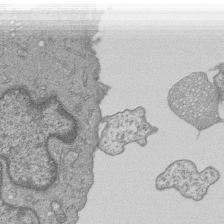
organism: Human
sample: MDA-MB-231 cells